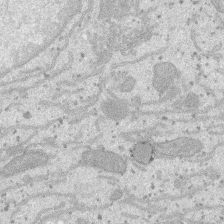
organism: Human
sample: Lung epithelial cells infected with SARS-CoV-2